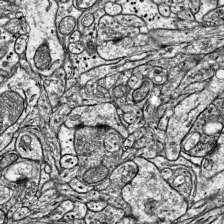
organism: Mouse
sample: Visual Cortex